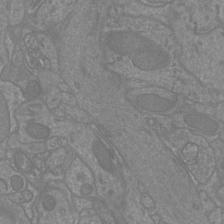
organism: Mouse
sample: Cortical neurons